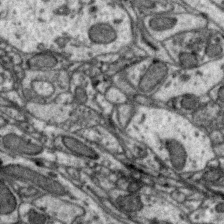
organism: Zebra finch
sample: Brain